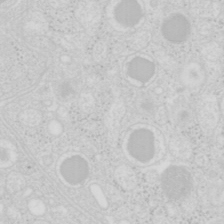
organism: Mouse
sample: Pancreas